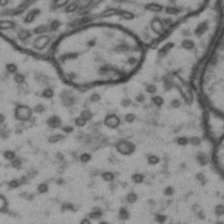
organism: Drosophila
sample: Brain